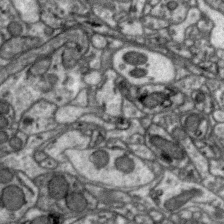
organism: Zebra finch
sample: Brain